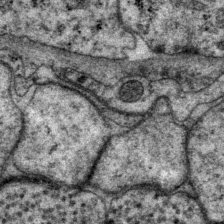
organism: P. pacificus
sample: Pharynx